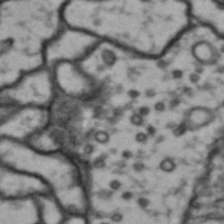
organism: Drosophila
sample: Brain